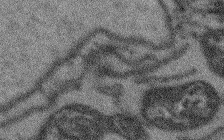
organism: Arabidopsis thaliana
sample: Root tip